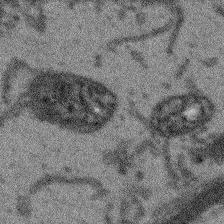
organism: Arabidopsis thaliana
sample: Root tip